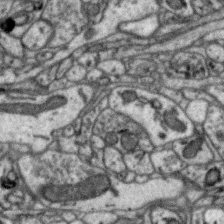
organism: Zebra finch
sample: Brain